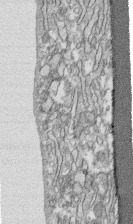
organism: Human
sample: CRL-1474